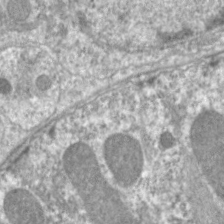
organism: C. elegans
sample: Pharynx